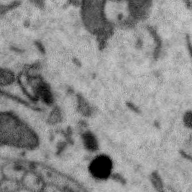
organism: Zebra finch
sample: Brain